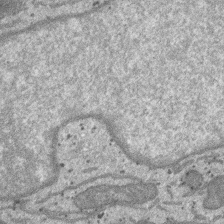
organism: Human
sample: Lung epithelial cells infected with SARS-CoV-2